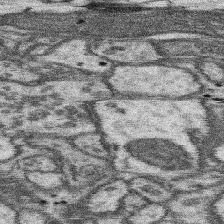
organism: Mouse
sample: Somatosensory cortex neuropil